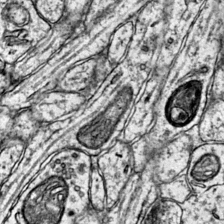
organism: Mouse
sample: Primary visual cortex